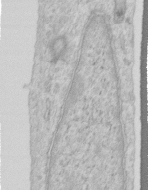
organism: Human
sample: Centriole in RPE cells